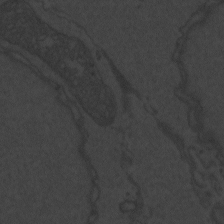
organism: Zebrafish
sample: Macrophage infected with Toxoplasma gondii